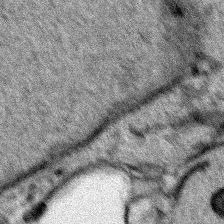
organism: Human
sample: Mitochondria in HCT116 cells